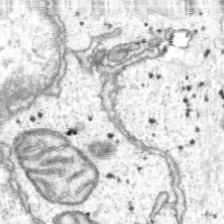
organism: Human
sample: HeLa cells